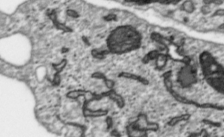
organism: Toxoplasma gondii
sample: Parasites in a vacuole inside a host cell